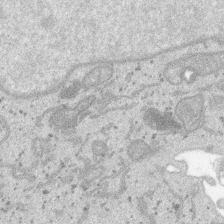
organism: Human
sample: Lung epithelial cells infected with SARS-CoV-2